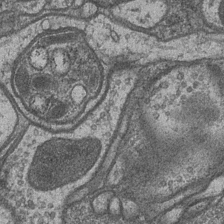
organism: Drosophila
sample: Optic medulla